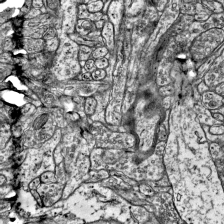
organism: Mouse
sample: Visual Cortex